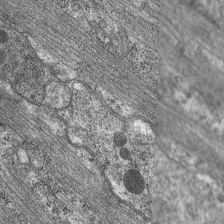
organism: C. elegans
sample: Pharynx